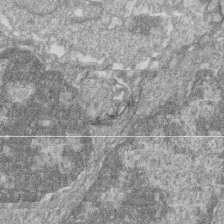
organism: Zebrafish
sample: Cilia; retinal pigment epithelium